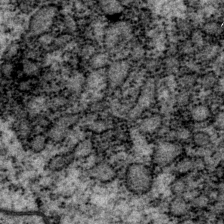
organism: P. pacificus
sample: Pharynx